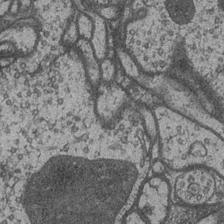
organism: Drosophila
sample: Optic medulla